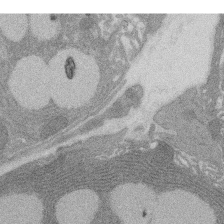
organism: Rat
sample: Salivary granule